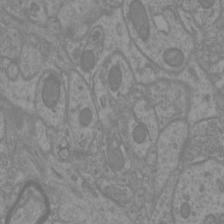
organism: Mouse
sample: Cortical neurons